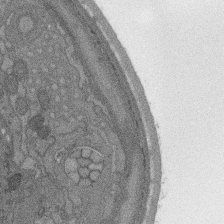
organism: C. elegans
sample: AFD neurons C. elegans